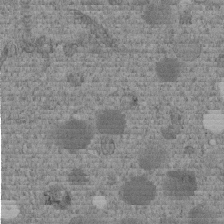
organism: C. elegans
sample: C. elegans embryo early stage